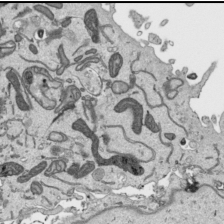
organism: Human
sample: Mitochondria in HCT116 cells